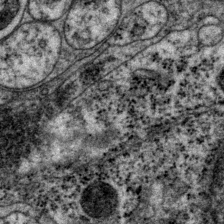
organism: P. pacificus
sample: Pharynx